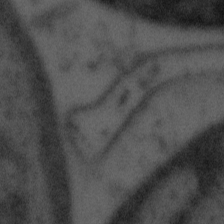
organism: Tuwongella immobilis